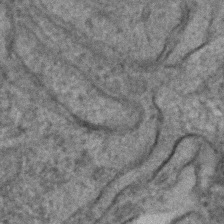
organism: C. elegans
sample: C. elegans embryo